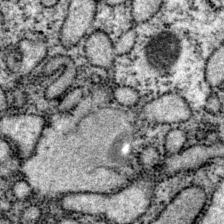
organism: P. pacificus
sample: Pharynx